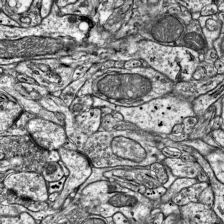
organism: Mouse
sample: Visual Cortex